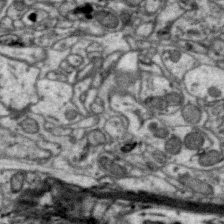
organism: Zebra finch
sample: Brain